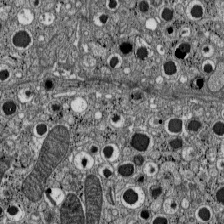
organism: C57BL Mouse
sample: Pancreatic islet